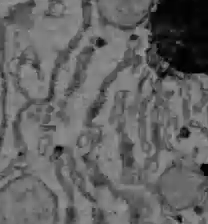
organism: C57BL Mouse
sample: Liver